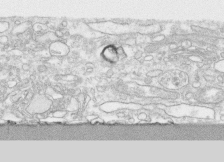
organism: Human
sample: CRL-1474